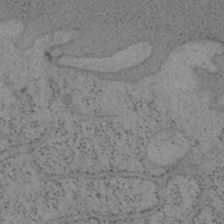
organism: Mouse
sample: OT-I killer T cells with ID8 ovarian cancer cells